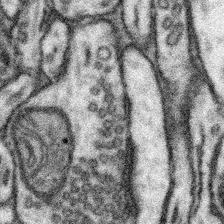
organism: Mouse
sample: Somatosensory cortex neuropil